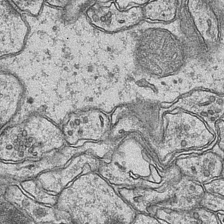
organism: Mouse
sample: CA1 Hippocampus